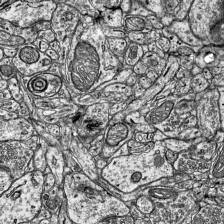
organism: Mouse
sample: Visual Cortex